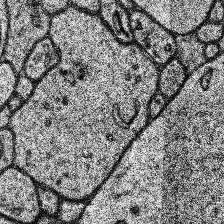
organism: Human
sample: Temporal Lobe